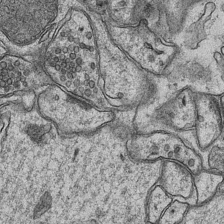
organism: Mouse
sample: CA1 Hippocampus